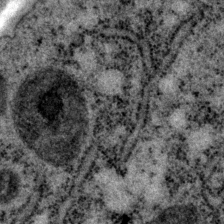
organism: P. pacificus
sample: Pharynx